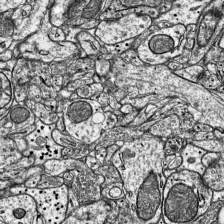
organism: Mouse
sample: Visual Cortex